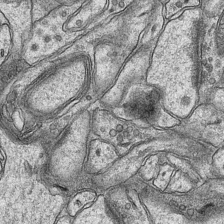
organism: Mouse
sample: CA1 Hippocampus